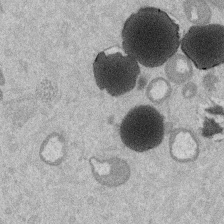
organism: Mouse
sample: Dividing mouse embryo 1 cell stage